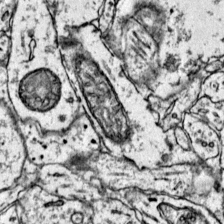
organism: Mouse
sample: Primary visual cortex